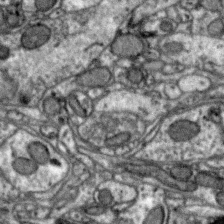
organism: Zebra finch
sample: Brain